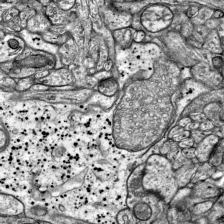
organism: Mouse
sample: Visual Cortex